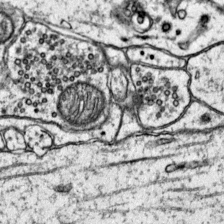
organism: Mouse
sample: Primary visual cortex